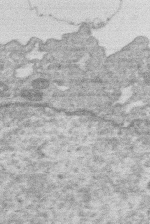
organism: Human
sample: Macrophage cells